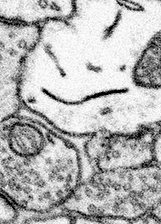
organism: Mouse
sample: Somatosensory cortex neuropil